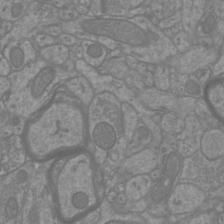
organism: Mouse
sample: Cortical neurons